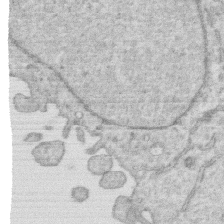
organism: Human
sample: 1205lu cells